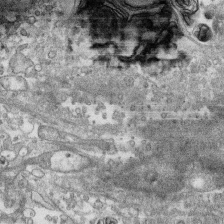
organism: Human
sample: CRL-1474